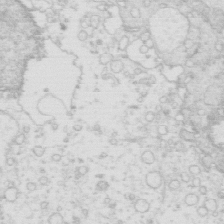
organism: Mouse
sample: Multiciliated cells